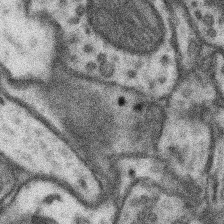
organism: Mouse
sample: Somatosensory cortex neuropil